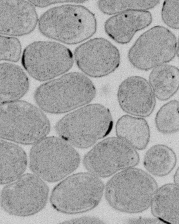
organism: E. coli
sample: Bacterial nucleoid